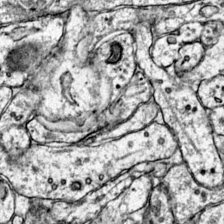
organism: Mouse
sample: Primary visual cortex